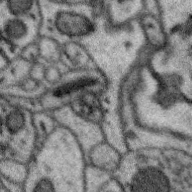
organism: Zebra finch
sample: Brain